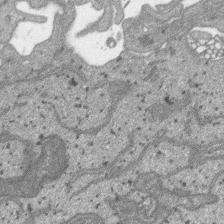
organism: Human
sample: Lung epithelial cells infected with SARS-CoV-2